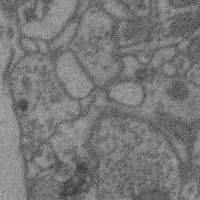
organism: Mouse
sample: Cerebral cortex